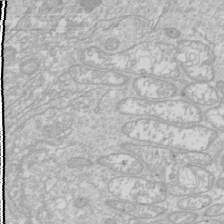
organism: Drosophila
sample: Cell division; meiosis; drosophila spermatocytes